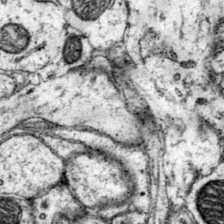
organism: Mouse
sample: Primary visual cortex